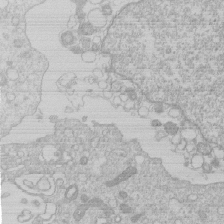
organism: Human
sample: Macrophage cells